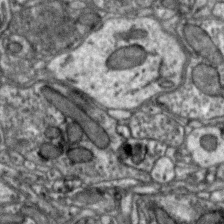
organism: Zebra finch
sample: Brain